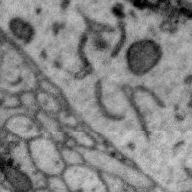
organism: Zebra finch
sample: Brain